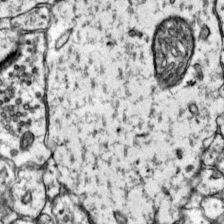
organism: Mouse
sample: Primary visual cortex